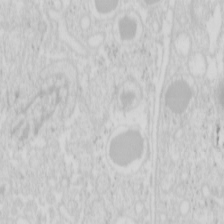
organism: Mouse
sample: Pancreas